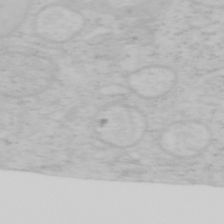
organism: Mouse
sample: OT-I killer T cells with ID8 ovarian cancer cells